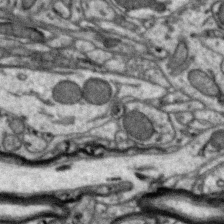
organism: Zebra finch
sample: Brain